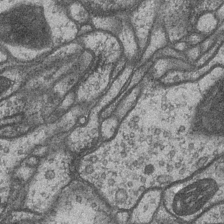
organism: Drosophila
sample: Optic medulla